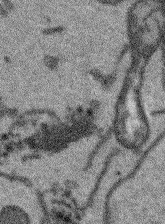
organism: Arabidopsis thaliana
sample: Root tip